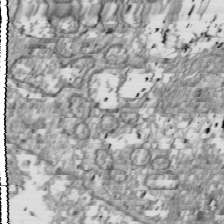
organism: Drosophila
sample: Cell division; meiosis; drosophila spermatocytes